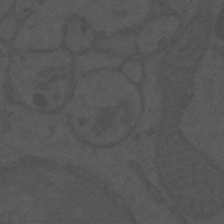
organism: Mouse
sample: Suprachiasmatic nucleus